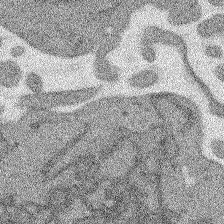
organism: Human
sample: HeLa cells